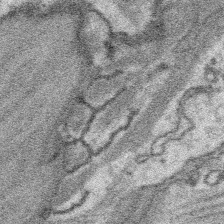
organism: Platynereis dumerilii